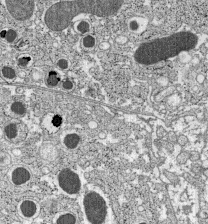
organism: C57BL Mouse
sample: Pancreatic islet